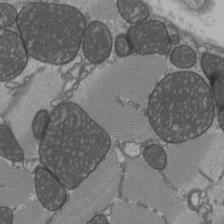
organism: C57BL Mouse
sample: Heart